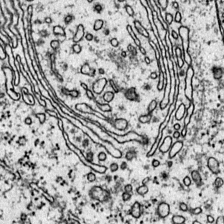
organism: Mouse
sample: Primary visual cortex